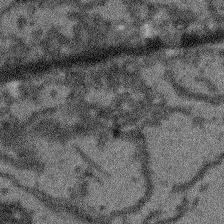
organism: Arabidopsis thaliana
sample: Root tip